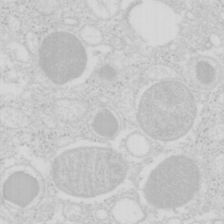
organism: Mouse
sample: Pancreas